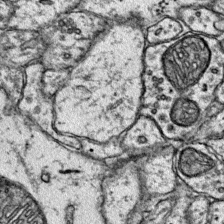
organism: Mouse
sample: Primary visual cortex